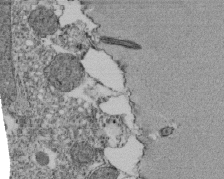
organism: Tetrahymena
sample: Cilia in tetrahymena